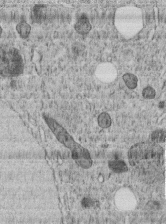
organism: C. elegans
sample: C. elegans embryo early stage